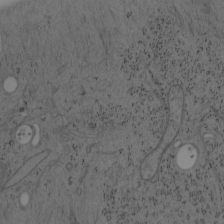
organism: Mouse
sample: OT-I killer T cells with ID8 ovarian cancer cells